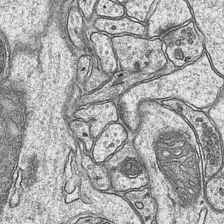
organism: Mouse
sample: CA1 Hippocampus